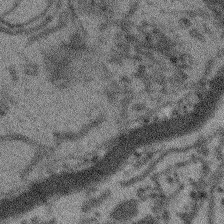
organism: Arabidopsis thaliana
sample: Root tip